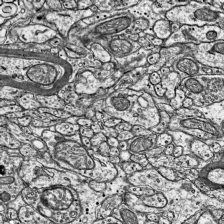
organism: Mouse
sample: Visual Cortex